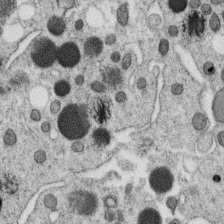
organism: C. elegans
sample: C. elegans oocyte; sperm cells